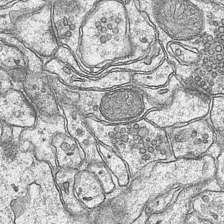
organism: Mouse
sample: CA1 Hippocampus